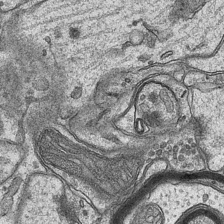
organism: Mouse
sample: CA1 Hippocampus